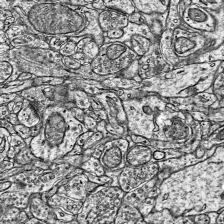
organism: Mouse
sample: Visual Cortex